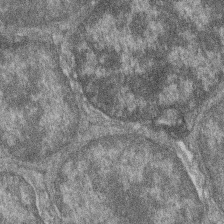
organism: Zebrafish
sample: Cilia; retinal pigment epithelium